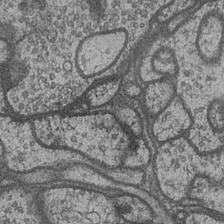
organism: Drosophila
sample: Optic medulla